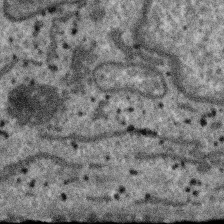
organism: Human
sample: Lung epithelial cells infected with SARS-CoV-2